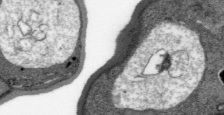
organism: Plasmodium falciparum